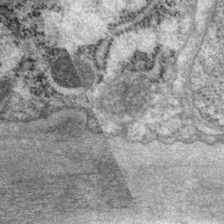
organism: P. pacificus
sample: Pharynx